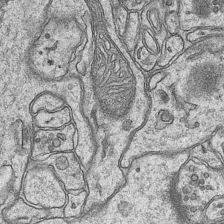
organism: Mouse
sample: CA1 Hippocampus